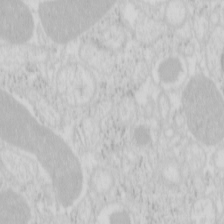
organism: Mouse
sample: Pancreas